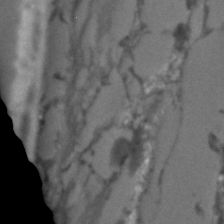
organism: C. elegans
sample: C. elegans embryo